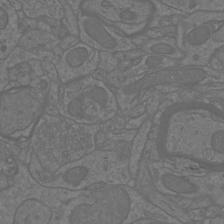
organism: Mouse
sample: Cortical neurons